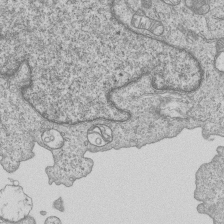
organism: Human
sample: MDA-MB-231 cells